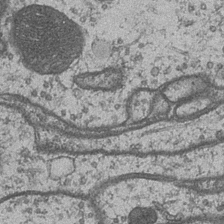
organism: Drosophila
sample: Optic medulla